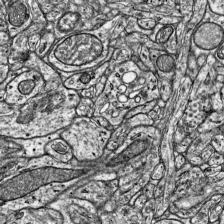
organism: Mouse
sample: Visual Cortex